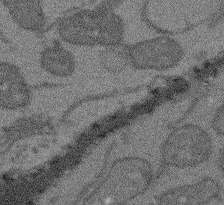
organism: Arabidopsis thaliana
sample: Root tip